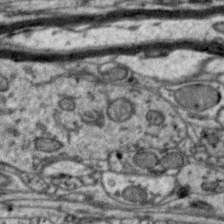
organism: Zebra finch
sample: Brain